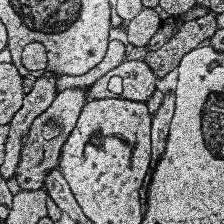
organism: Human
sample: Temporal Lobe